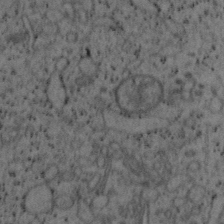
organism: Human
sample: HeLa cells